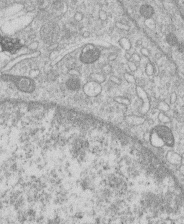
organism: Human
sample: Macrophage cells